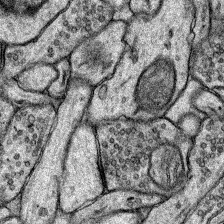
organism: Rat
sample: Hippocampus